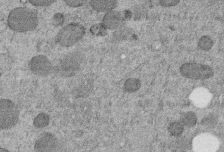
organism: C. elegans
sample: C. elegans embryo early stage